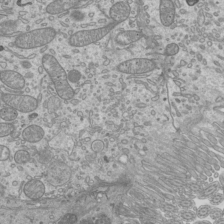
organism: Mouse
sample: Cilia; mouse epididymis